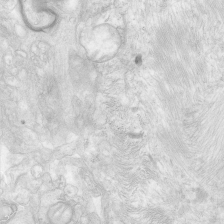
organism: Human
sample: Neocortex